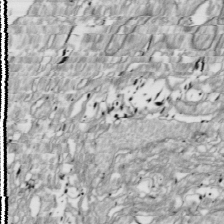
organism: Drosophila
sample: Cell division; meiosis; drosophila spermatocytes